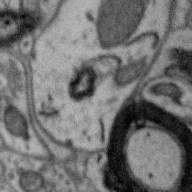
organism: Zebra finch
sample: Brain